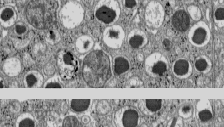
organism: C57BL Mouse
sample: Pancreatic islet